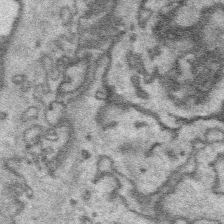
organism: Platynereis dumerilii